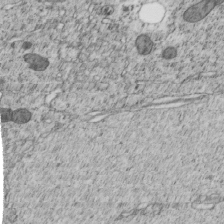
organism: C. elegans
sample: C. elegans embryo early stage